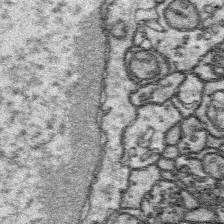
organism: Platynereis dumerilii